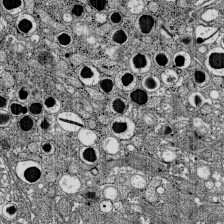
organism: C57BL Mouse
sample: Pancreatic islet